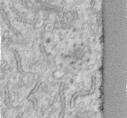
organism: Human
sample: Centriole in fibroblast cells